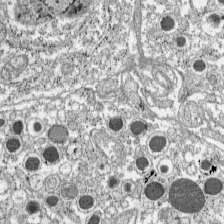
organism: C57BL Mouse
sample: Pancreatic islet